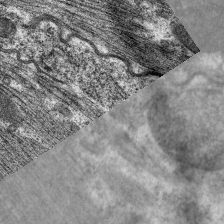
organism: C. elegans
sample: Pharynx